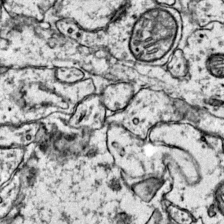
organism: Mouse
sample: Primary visual cortex